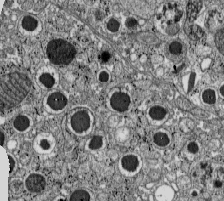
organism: C57BL Mouse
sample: Pancreatic islet